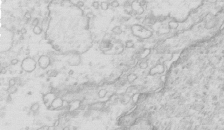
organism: Mouse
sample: Multiciliated cells